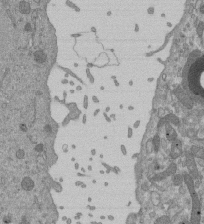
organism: Mouse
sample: ED-1 cell nuclei; centrioles